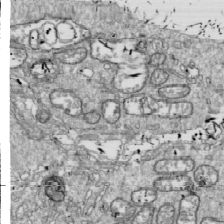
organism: Drosophila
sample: Cell division; meiosis; drosophila spermatocytes